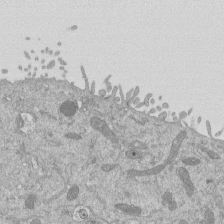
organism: Mouse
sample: ED-1 cell nuclei; centrioles